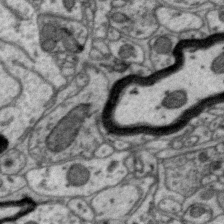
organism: Zebra finch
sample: Brain